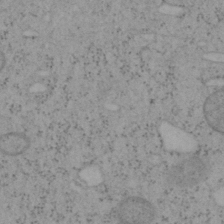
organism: Mouse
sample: OT-I killer T cells with ID8 ovarian cancer cells